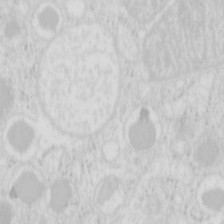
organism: Mouse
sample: Pancreas